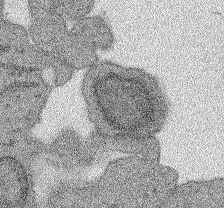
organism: Human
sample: HeLa cells